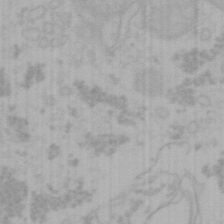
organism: Mouse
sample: Choroid plexus